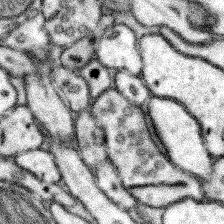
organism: Mouse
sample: Somatosensory cortex neuropil